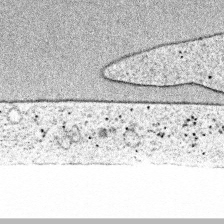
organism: Human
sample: HeLa cells